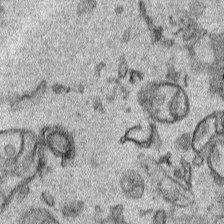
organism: Human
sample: Mitochondria in HCT116 cells